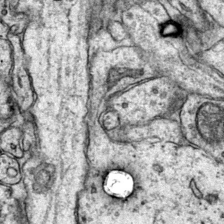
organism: Mouse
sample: Primary visual cortex